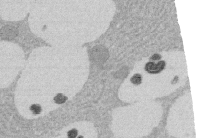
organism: Rat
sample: Salivary granule